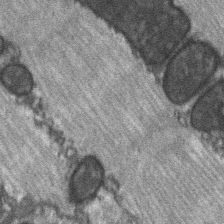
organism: C57BL Mouse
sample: Soleus